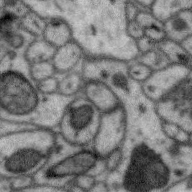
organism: Zebra finch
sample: Brain